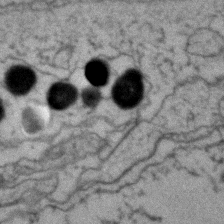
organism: Zebrafish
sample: Zebrafish embryo